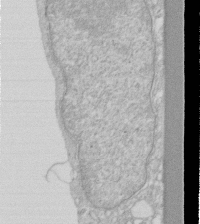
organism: Human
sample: Fibroblast cells